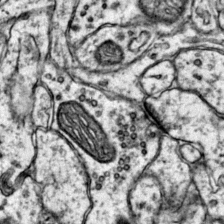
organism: Mouse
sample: Primary visual cortex